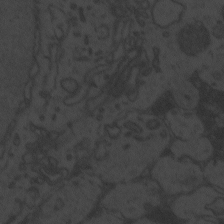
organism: Zebrafish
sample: Macrophage infected with Toxoplasma gondii